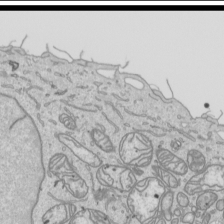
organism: Human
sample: Mitochondria in HCT116 cells